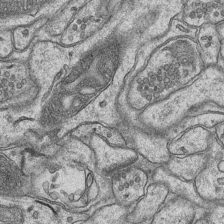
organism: Mouse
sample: CA1 Hippocampus